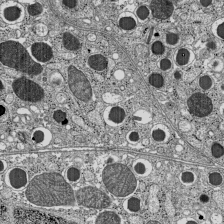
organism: C57BL Mouse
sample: Pancreatic islet